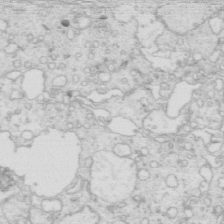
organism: Mouse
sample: Multiciliated cells